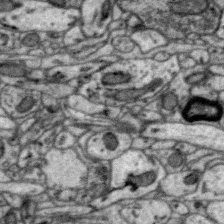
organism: Zebra finch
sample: Brain